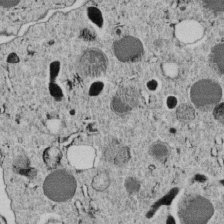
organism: C. elegans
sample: C. elegans embryo early stage